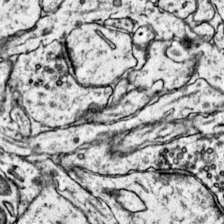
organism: Mouse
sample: Primary visual cortex